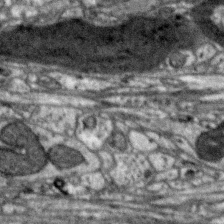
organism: Zebra finch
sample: Brain